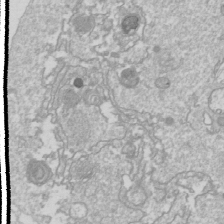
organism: Drosophila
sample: Cell division; meiosis; drosophila spermatocytes